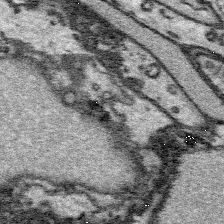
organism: Platynereis dumerilii